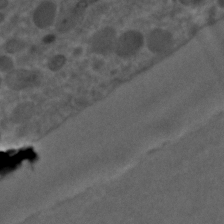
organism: C. elegans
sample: C. elegans embryo